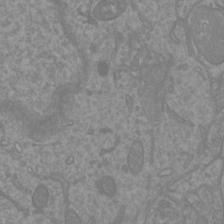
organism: Mouse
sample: Cortical neurons